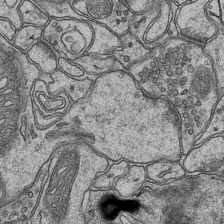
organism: Mouse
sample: CA1 Hippocampus